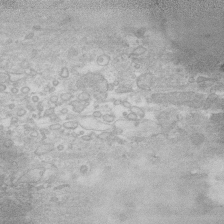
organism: Human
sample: Fibroblast cells